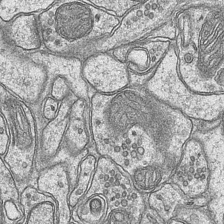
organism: Mouse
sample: CA1 Hippocampus